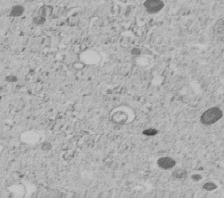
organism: C. elegans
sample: C. elegans embryo early stage